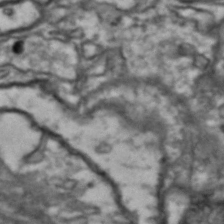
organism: Drosophila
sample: Brain